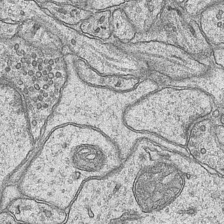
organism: Mouse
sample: CA1 Hippocampus